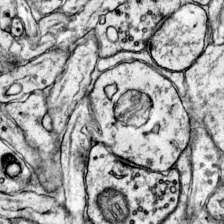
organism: Mouse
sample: Primary visual cortex